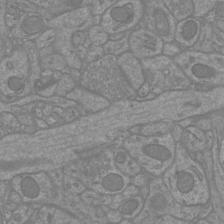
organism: Mouse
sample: Cortical neurons